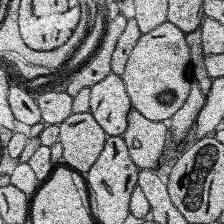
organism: Human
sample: Temporal Lobe